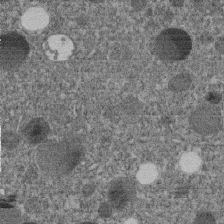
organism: C. elegans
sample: C. elegans embryo early stage